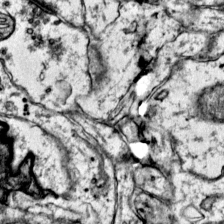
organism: Mouse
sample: Primary visual cortex